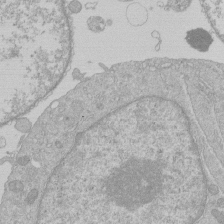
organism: Human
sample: Macrophage cells